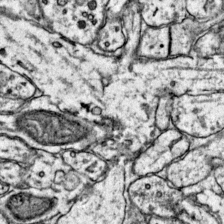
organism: Mouse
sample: Primary visual cortex